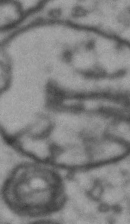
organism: Drosophila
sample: Brain